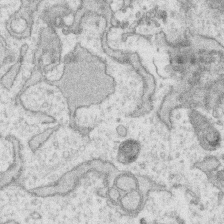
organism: Human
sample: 1205lu cells